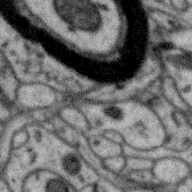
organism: Zebra finch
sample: Brain